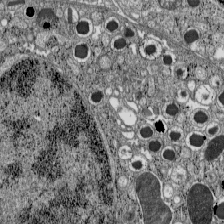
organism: C57BL Mouse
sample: Pancreatic islet